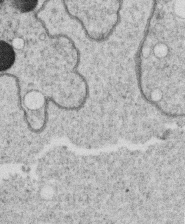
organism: C. elegans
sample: C. elegans oocyte; sperm cells